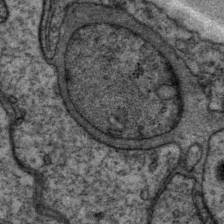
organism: P. pacificus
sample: Pharynx